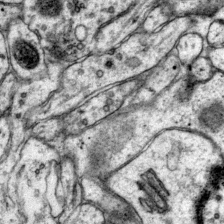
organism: Mouse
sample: Primary visual cortex